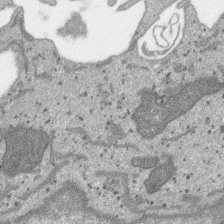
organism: Human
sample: Lung epithelial cells infected with SARS-CoV-2